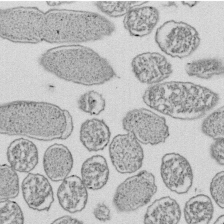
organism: E. coli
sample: Bacterial nucleoid